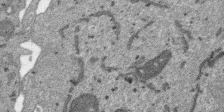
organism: Human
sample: Lung epithelial cells infected with SARS-CoV-2